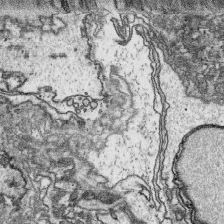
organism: Platynereis dumerilii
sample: Parapodia